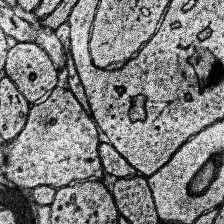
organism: Human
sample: Temporal Lobe